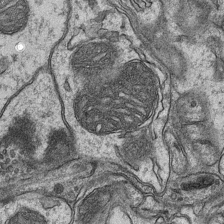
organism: Mouse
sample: CA1 Hippocampus